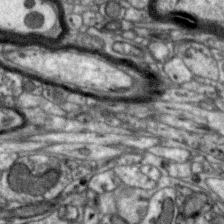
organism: Zebra finch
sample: Brain